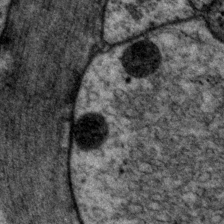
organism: P. pacificus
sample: Pharynx